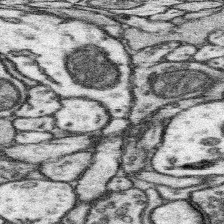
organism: Mouse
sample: Somatosensory cortex neuropil